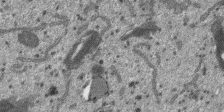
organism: Human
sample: Lung epithelial cells infected with SARS-CoV-2